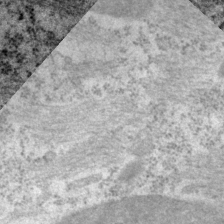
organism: P. pacificus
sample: Pharynx